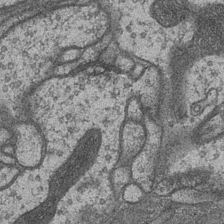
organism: Drosophila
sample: Optic medulla